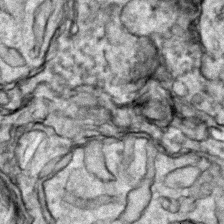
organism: Zebrafish